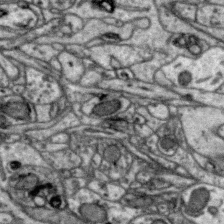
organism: Zebra finch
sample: Brain